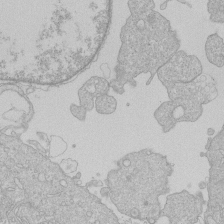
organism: Human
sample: Macrophage cells